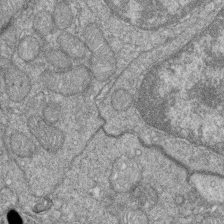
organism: Zebrafish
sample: Cilia; retinal pigment epithelium